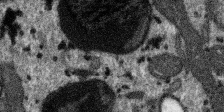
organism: Human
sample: Lung epithelial cells infected with SARS-CoV-2